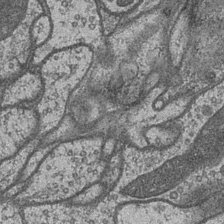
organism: Drosophila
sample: Optic medulla